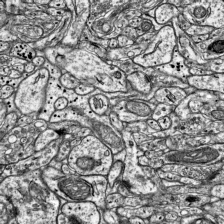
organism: Mouse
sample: Visual Cortex